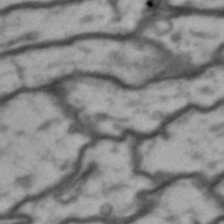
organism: Drosophila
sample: Brain